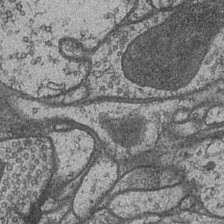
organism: Drosophila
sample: Optic medulla